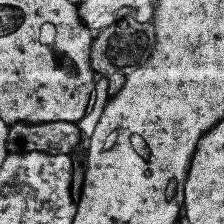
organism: Human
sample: Temporal Lobe